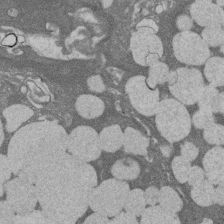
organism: Rat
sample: Salivary granule